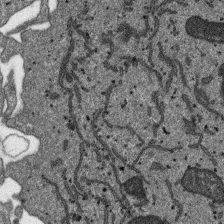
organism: Human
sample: Lung epithelial cells infected with SARS-CoV-2